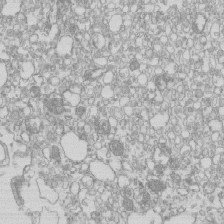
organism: Mouse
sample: Macrophages